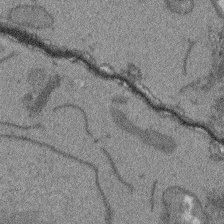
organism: Arabidopsis thaliana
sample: Root tip